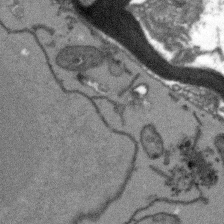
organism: Arabidopsis thaliana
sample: Root tip